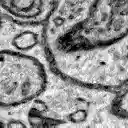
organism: Zebrafish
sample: Brain